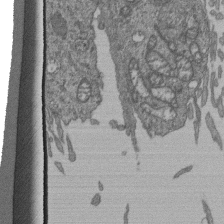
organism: Human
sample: Retinal organoid Rod and Cone cells